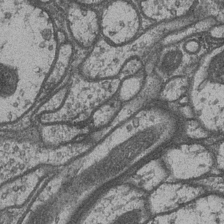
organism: Drosophila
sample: Optic medulla